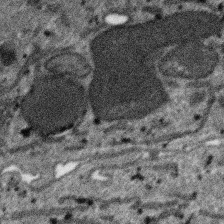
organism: Human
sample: Lung epithelial cells infected with SARS-CoV-2